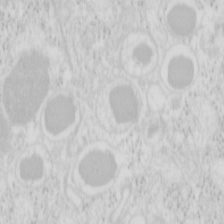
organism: Mouse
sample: Pancreas